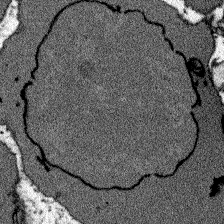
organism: Zebrafish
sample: Larval olfactory bulb